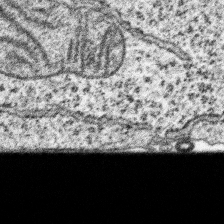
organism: Human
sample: HeLa cells